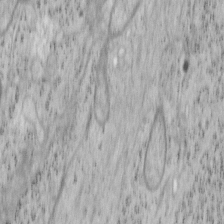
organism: Human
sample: HeLa cells